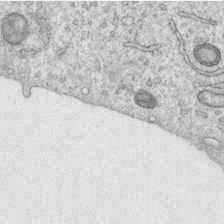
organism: Human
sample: Centriole in RPE cells